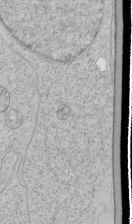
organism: Human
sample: Mitochondria in HCT116 cells